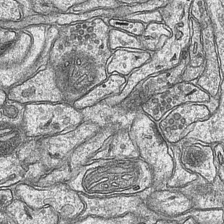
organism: Mouse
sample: CA1 Hippocampus